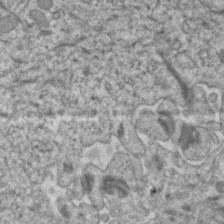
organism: Human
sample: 1205lu cells